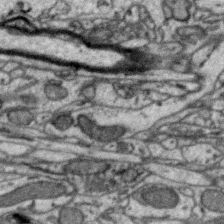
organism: Zebra finch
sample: Brain